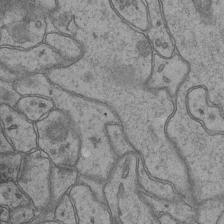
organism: Mouse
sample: CA1 Hippocampus